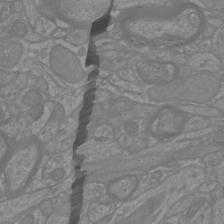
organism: Mouse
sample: Cortical neurons